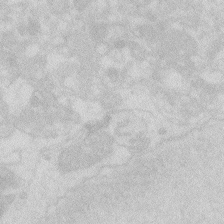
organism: Zebrafish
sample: Macrophage